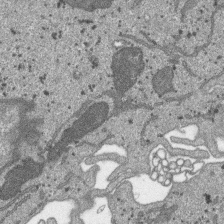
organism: Human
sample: Lung epithelial cells infected with SARS-CoV-2